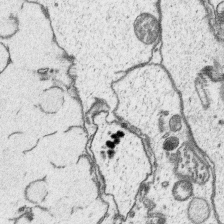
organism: Platynereis dumerilii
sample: Parapodia